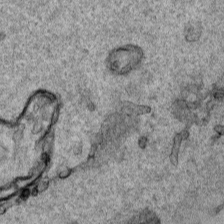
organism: Human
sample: Mitochondria in HCT116 cells